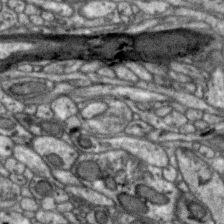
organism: Zebra finch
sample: Brain